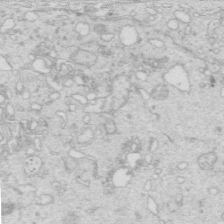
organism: Mouse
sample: Multiciliated cells